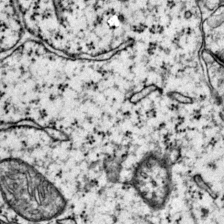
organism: Mouse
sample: Primary visual cortex